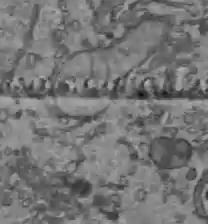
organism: C57BL Mouse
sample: Liver